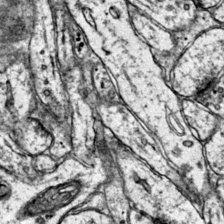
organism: Mouse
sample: Primary visual cortex